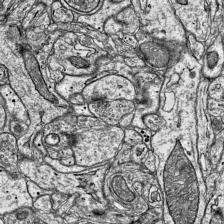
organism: Mouse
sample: Visual Cortex